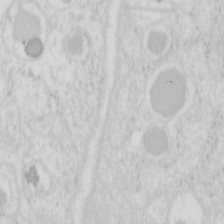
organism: Mouse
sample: Pancreas